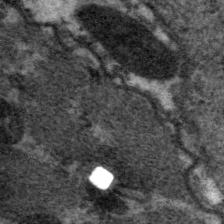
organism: C. elegans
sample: Pharynx